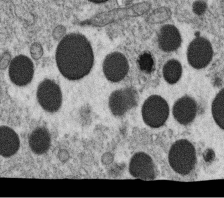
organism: C. elegans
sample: C. elegans oocyte; sperm cells